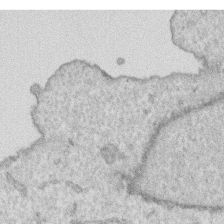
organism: Human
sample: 1205lu cells